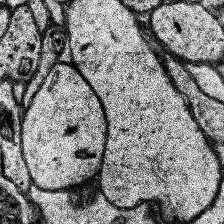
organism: Human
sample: Temporal Lobe